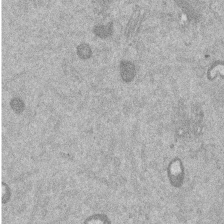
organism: Mouse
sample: Dividing mouse embryo 1 cell stage